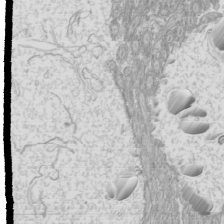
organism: Mouse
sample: Cilia; mouse epididymis